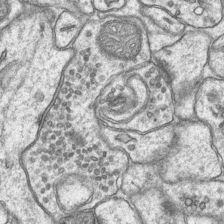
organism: Mouse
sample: CA1 Hippocampus